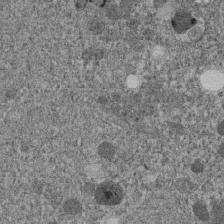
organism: C. elegans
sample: C. elegans embryo early stage